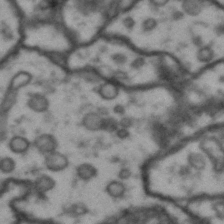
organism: Drosophila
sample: Brain